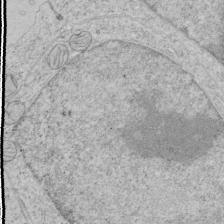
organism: Human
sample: Mitochondria in HCT116 cells